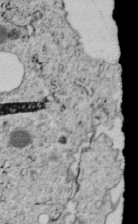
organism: C. elegans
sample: C. elegans embryo early stage